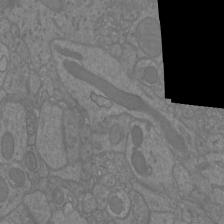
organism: Mouse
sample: Cortical neurons